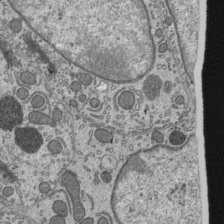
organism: Mouse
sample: Mouse epididymis efferent ductule cilia